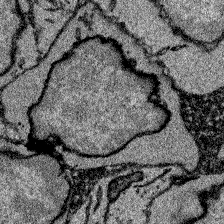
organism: Zebrafish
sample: Larval olfactory bulb